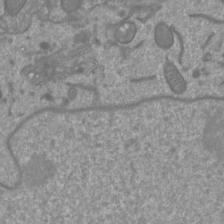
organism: Mouse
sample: Cortical neurons